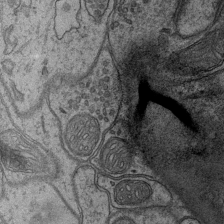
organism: Mouse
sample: CA1 Hippocampus